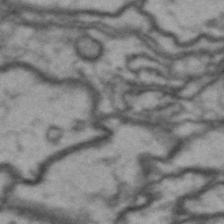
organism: Drosophila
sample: Brain